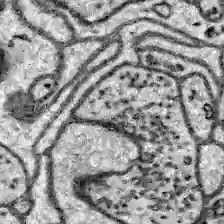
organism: Zebrafish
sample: Brain